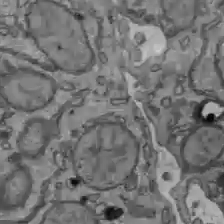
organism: C57BL Mouse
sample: Liver